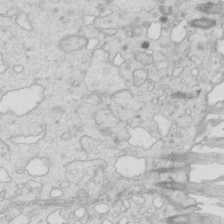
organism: Mouse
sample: Multiciliated cells